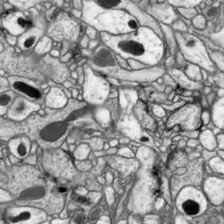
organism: Drosophila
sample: Optic lobe